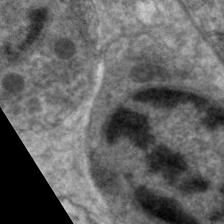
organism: C. elegans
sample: Pharynx